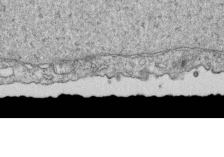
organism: Human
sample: HeLa cell HIV synapse